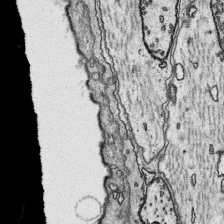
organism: Platynereis dumerilii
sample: Parapodia